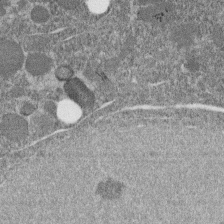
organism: C. elegans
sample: C. elegans embryo early stage